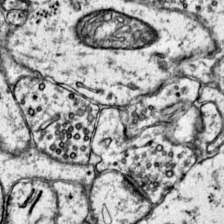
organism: Mouse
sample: Primary visual cortex